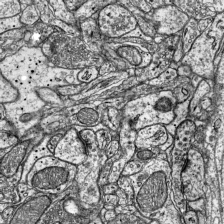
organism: Mouse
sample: Visual Cortex